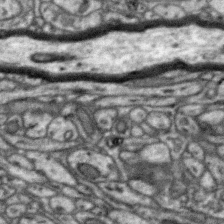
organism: Zebra finch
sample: Brain